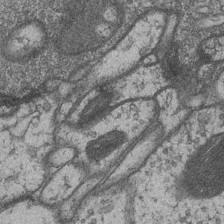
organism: Drosophila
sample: Optic medulla